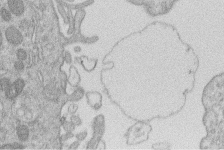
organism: Human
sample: Macrophage cells